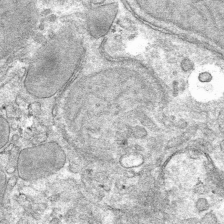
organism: Mouse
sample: Mouse hepatocytes